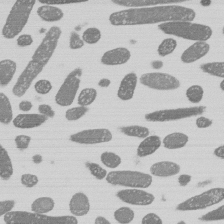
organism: E. coli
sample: Bacterial nucleoid